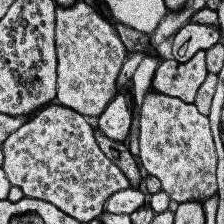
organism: Human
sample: Temporal Lobe